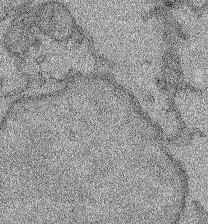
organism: Human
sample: HeLa cells